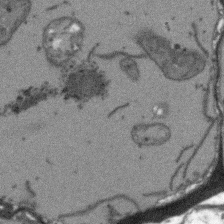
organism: Arabidopsis thaliana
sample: Root tip